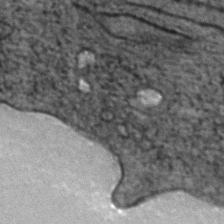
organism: Zebrafish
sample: Zebrafish embryo